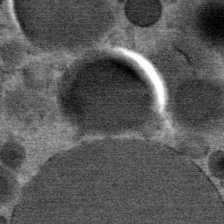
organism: Mouse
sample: Mouse Salivary gland